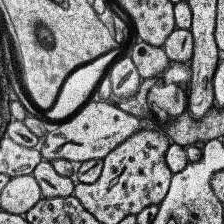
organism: Human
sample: Temporal Lobe